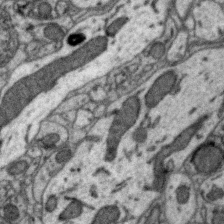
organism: Zebra finch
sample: Brain